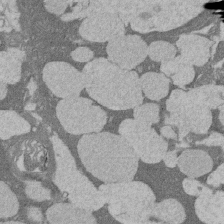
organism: Rat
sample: Salivary granule